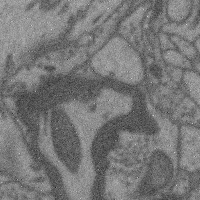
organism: Mouse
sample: Cerebral cortex